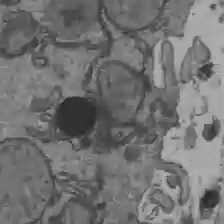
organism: C57BL Mouse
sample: Liver